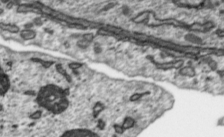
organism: Toxoplasma gondii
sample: Parasites in a vacuole inside a host cell